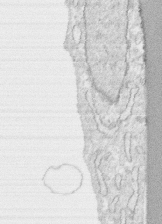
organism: Human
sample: CRL-1474